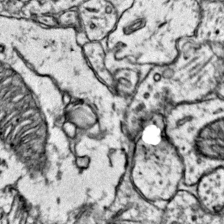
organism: Mouse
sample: Primary visual cortex